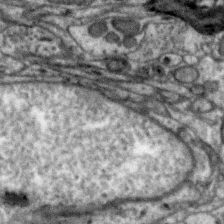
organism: Zebra finch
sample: Brain